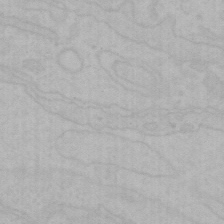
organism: Mouse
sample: Choroid plexus